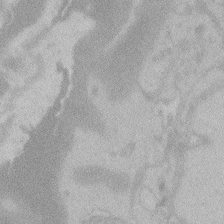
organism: Zebrafish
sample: Macrophage infected with Toxoplasma gondii